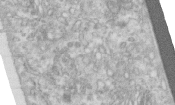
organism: Human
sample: Centriole in RPE cells